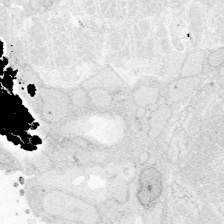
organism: Zebrafish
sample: Whole-Brain